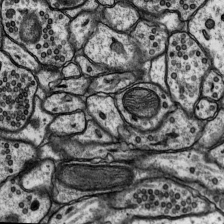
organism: Rat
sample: Hippocampus